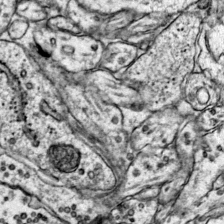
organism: Mouse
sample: Primary visual cortex